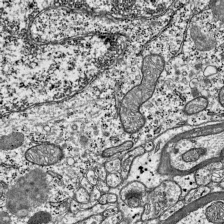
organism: Mouse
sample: Visual Cortex